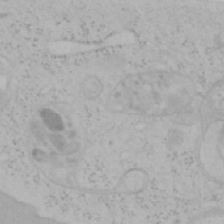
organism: Mouse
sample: OT-I killer T cells with ID8 ovarian cancer cells